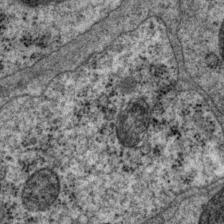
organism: P. pacificus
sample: Pharynx